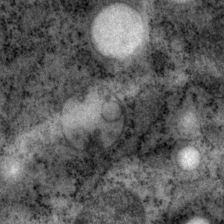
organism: P. pacificus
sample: Pharynx